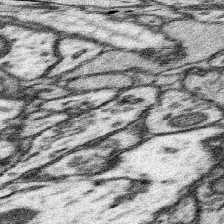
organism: Mouse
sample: Somatosensory cortex neuropil